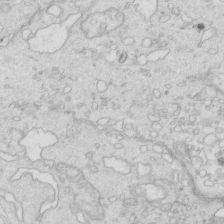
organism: Mouse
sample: Multiciliated cells